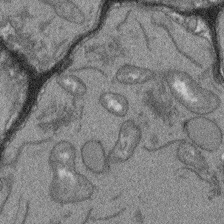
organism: Arabidopsis thaliana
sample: Root tip